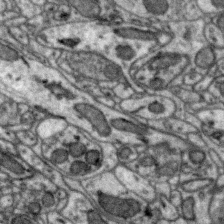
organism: Zebra finch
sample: Brain